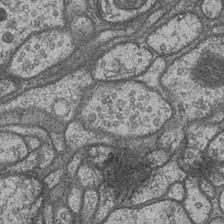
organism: Drosophila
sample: Optic medulla